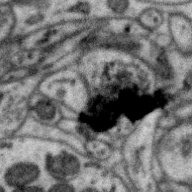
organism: Zebra finch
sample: Brain